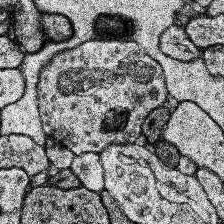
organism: Human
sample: Temporal Lobe